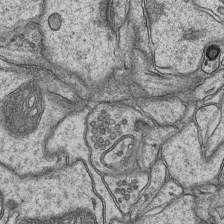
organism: Mouse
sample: CA1 Hippocampus